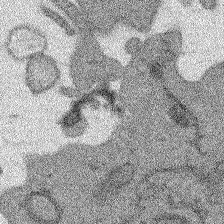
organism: Human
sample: HeLa cells